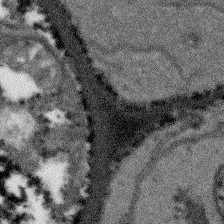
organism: Arabidopsis thaliana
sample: Root tip